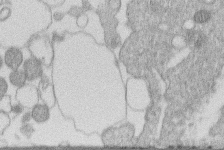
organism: Human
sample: Macrophage cells